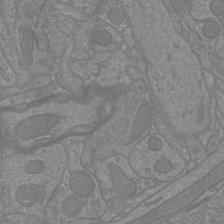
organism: Mouse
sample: Cortical neurons